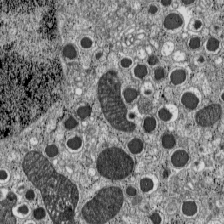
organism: C57BL Mouse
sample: Pancreatic islet